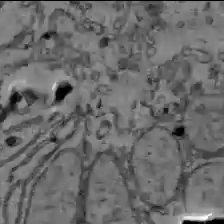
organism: C57BL Mouse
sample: Liver